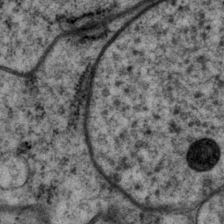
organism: P. pacificus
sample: Pharynx